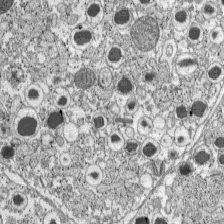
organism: C57BL Mouse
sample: Pancreatic islet